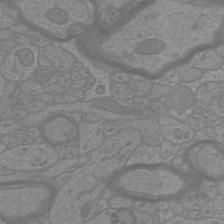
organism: Mouse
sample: Cortical neurons